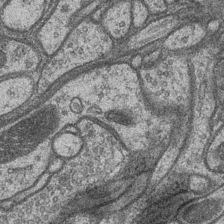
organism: Drosophila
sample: Optic medulla